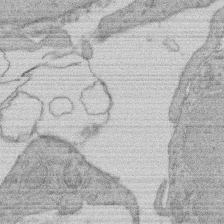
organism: Rat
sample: Salivary granule